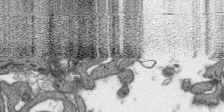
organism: Human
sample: Lung epithelial cells, uninfected (mock) control